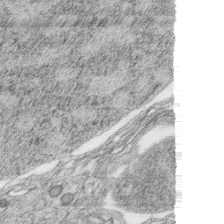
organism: Zebrafish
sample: synaptic ribbons in rod cells and cone cells